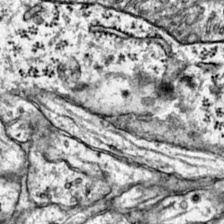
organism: Mouse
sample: Primary visual cortex